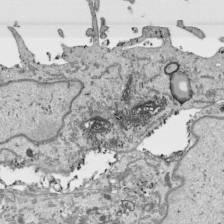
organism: Human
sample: Mitochondria in HCT116 cells